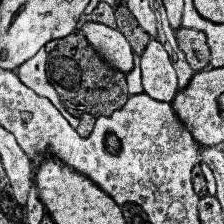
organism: Human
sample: Temporal Lobe